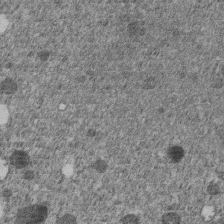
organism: C. elegans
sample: C. elegans embryo early stage